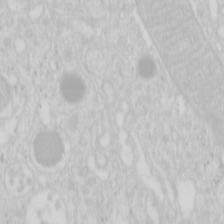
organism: Mouse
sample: Pancreas